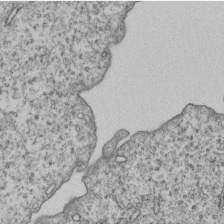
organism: Human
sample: MDA-MB-231 cells